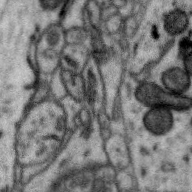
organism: Zebra finch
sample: Brain